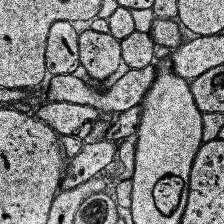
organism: Human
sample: Temporal Lobe